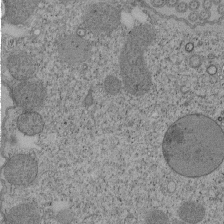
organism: Tetrahymena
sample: Cilia in tetrahymena